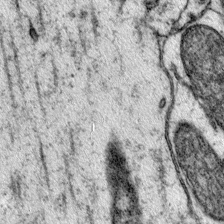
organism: Mouse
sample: Primary visual cortex